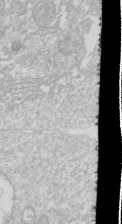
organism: Drosophila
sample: Cell division; meiosis; drosophila spermatocytes